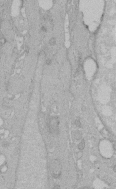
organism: Human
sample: Melanocyte Keratinocyte synapse skin construct